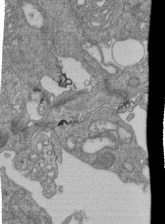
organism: Human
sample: Retinal organoid Rod and Cone cells